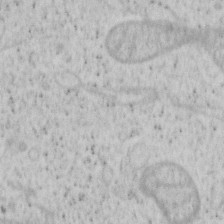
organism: Human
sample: HeLa cells